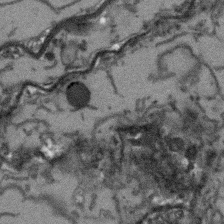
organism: Arabidopsis thaliana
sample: Root tip